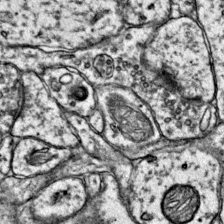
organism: Mouse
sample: Primary visual cortex